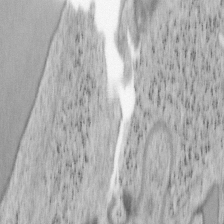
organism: Human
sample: HeLa cells